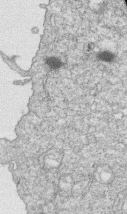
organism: Human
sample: HeLa cell HIV synapse